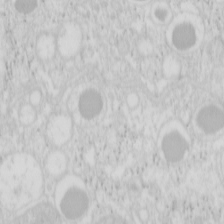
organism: Mouse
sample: Pancreas